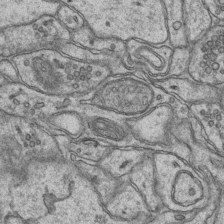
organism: Mouse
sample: CA1 Hippocampus